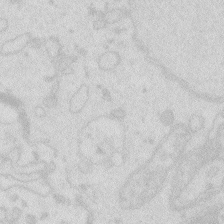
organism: Zebrafish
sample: Macrophage